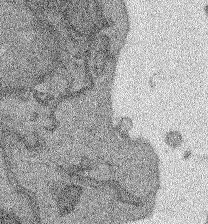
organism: Human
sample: HeLa cells